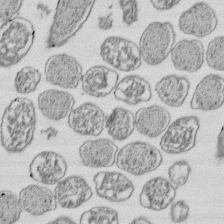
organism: E. coli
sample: Bacterial nucleoid